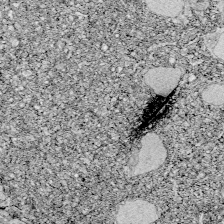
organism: Zebrafish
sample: Whole-Brain